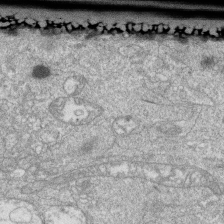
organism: Human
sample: HeLa cell HIV synapse